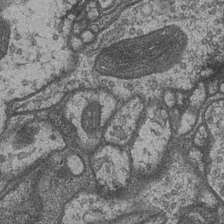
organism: Drosophila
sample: Optic medulla